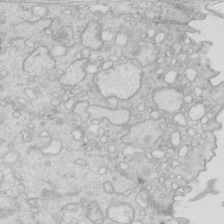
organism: Mouse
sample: Multiciliated cells